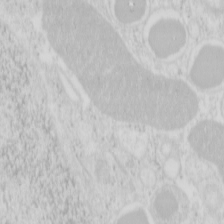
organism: Mouse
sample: Pancreas